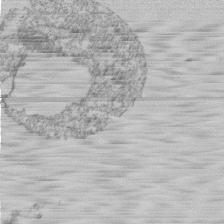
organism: Mouse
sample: Activated Pmel transgenic CD8+ T Cells